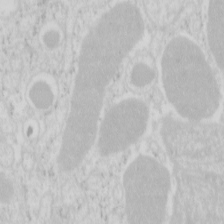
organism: Mouse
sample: Pancreas